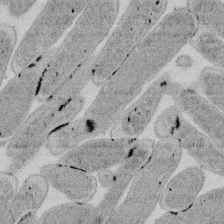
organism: E. coli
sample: Bacterial nucleoid